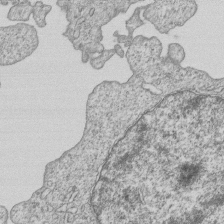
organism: Human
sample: MDA-MB-231 cells